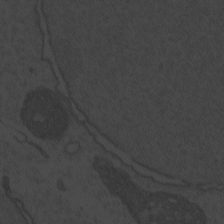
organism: Zebrafish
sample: Macrophage infected with Toxoplasma gondii